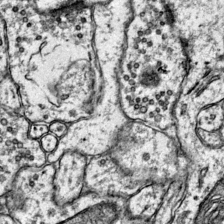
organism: Mouse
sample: Primary visual cortex